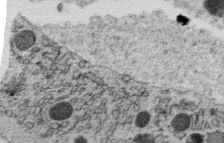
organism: C. elegans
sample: C. elegans oocyte; sperm cells